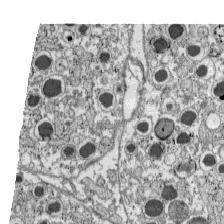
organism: C57BL Mouse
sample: Pancreatic islet